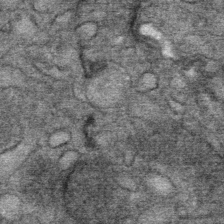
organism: Mouse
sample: Mouse Salivary gland